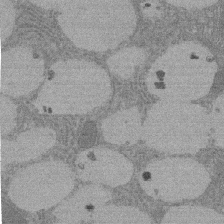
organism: Rat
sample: Salivary granule